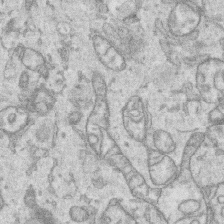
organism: Human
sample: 1205lu cells